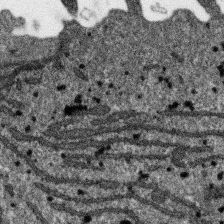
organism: Human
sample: Lung epithelial cells infected with SARS-CoV-2